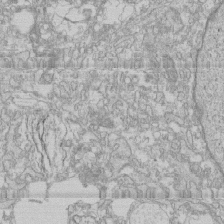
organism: Human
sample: CRL-1474